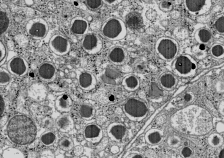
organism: C57BL Mouse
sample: Pancreatic islet